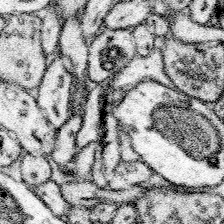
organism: Mouse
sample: Somatosensory cortex neuropil